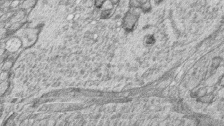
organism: Zebrafish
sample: synaptic ribbons in rod cells and cone cells